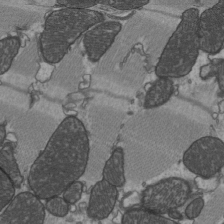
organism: C57BL Mouse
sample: Heart